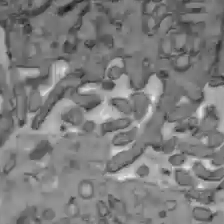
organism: C57BL Mouse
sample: Liver